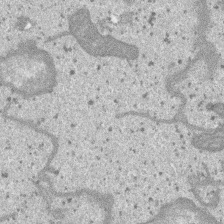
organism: Human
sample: Lung epithelial cells infected with SARS-CoV-2